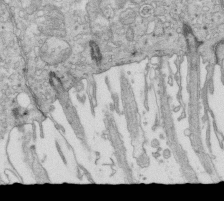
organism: Mouse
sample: Multiciliated cells